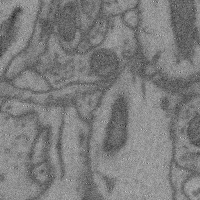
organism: Mouse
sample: Cerebral cortex